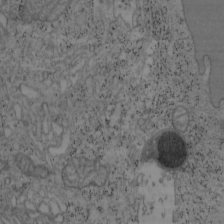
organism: Mouse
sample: OT-I killer T cells with ID8 ovarian cancer cells